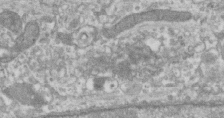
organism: Human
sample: Centriole in RPE cells